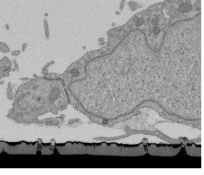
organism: Mouse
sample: ED-1 cell nuclei; centrioles